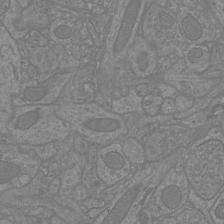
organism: Mouse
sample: Cortical neurons